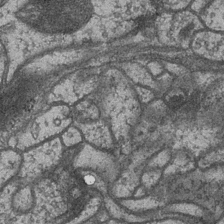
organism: Drosophila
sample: Optic medulla